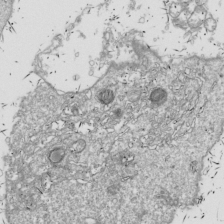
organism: Drosophila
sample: Cell division; meiosis; drosophila spermatocytes